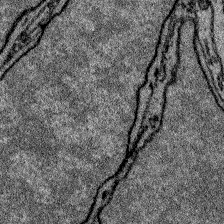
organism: Zebrafish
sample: Larval olfactory bulb